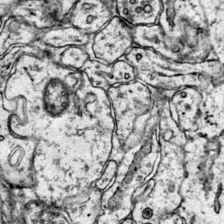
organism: Mouse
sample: Primary visual cortex